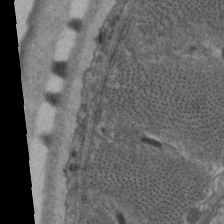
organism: C. elegans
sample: Pharynx